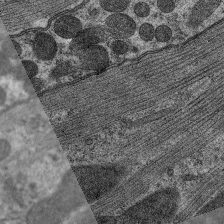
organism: C. elegans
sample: Pharynx